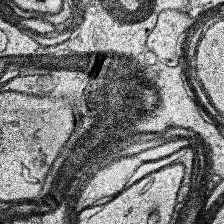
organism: Human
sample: Temporal Lobe